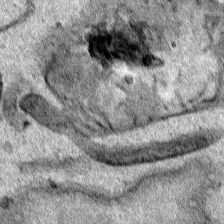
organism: Human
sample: Mitochondria in HCT116 cells